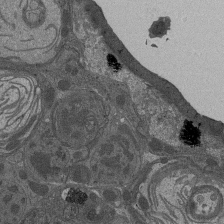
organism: Drosophila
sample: Antenna